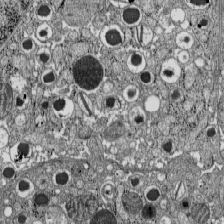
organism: C57BL Mouse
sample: Pancreatic islet